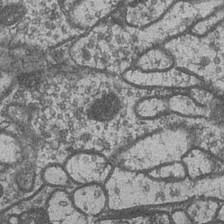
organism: Drosophila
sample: Optic medulla